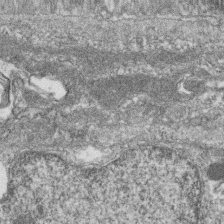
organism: Zebrafish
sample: Cilia; retinal pigment epithelium